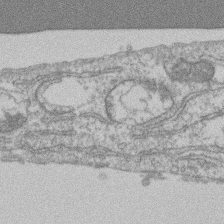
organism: Mouse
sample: T cell stromal cell synapse